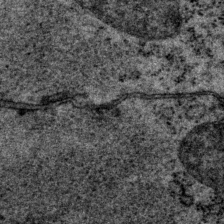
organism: P. pacificus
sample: Pharynx